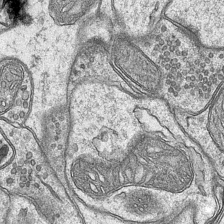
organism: Mouse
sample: CA1 Hippocampus